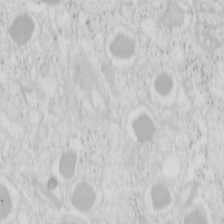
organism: Mouse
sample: Pancreas